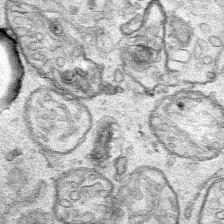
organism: Human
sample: Mitochondria in HCT116 cells